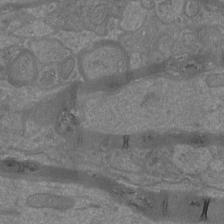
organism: Mouse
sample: Cortical neurons